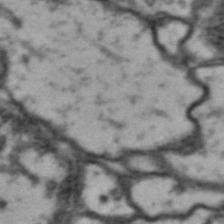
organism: Drosophila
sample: Brain